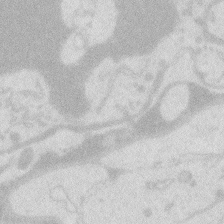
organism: Zebrafish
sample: Macrophage